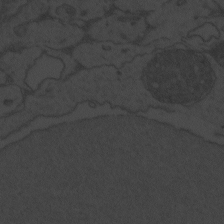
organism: Zebrafish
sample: Macrophage infected with Toxoplasma gondii